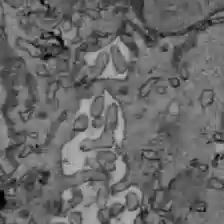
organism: C57BL Mouse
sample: Liver